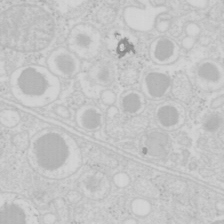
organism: Mouse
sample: Pancreas